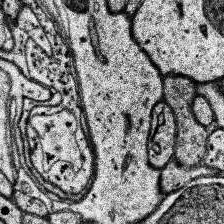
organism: Human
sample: Temporal Lobe